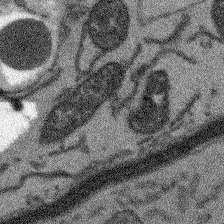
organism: Arabidopsis thaliana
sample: Root tip